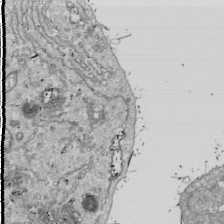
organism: Drosophila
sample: Cell division; meiosis; drosophila spermatocytes